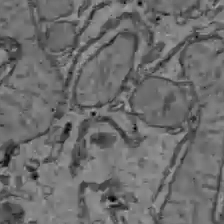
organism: C57BL Mouse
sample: Liver